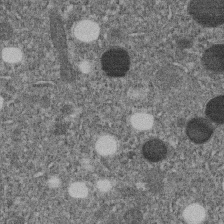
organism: C. elegans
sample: C. elegans embryo early stage